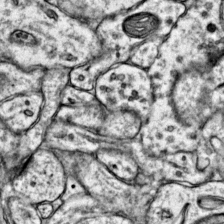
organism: Mouse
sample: Primary visual cortex